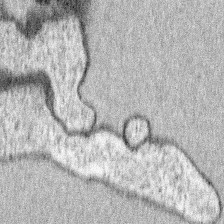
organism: Human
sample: HeLa cells